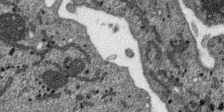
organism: Human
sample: Lung epithelial cells infected with SARS-CoV-2